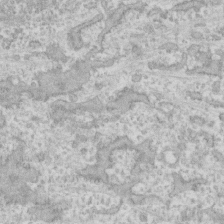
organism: Human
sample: CRL-1474